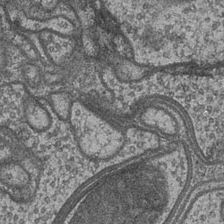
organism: Drosophila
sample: Optic medulla